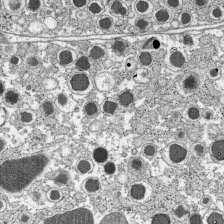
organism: C57BL Mouse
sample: Pancreatic islet